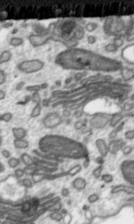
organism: Toxoplasma gondii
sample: Parasites in a vacuole inside a host cell